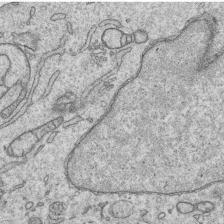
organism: Human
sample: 1205lu cells